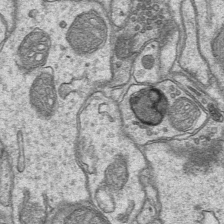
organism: Mouse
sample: CA1 Hippocampus